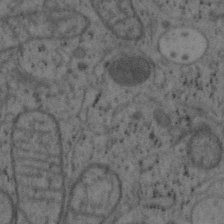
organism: Human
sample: HeLa cells